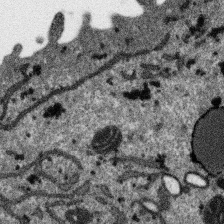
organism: Human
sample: Lung epithelial cells infected with SARS-CoV-2